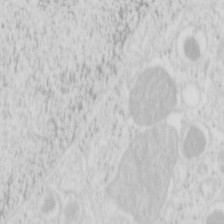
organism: Mouse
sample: Pancreas